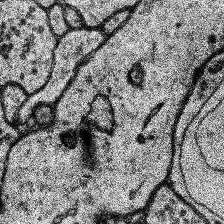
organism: Human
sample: Temporal Lobe